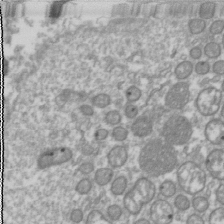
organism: Drosophila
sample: Cell division; meiosis; drosophila spermatocytes